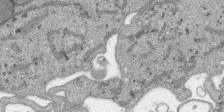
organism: Human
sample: Lung epithelial cells infected with SARS-CoV-2